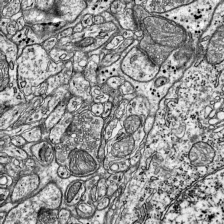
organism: Mouse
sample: Visual Cortex